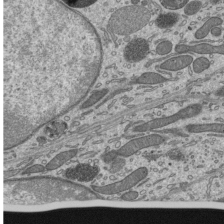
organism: Mouse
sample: Mouse epididymis efferent ductule cilia